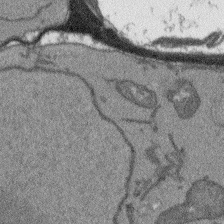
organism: Arabidopsis thaliana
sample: Root tip